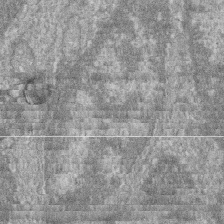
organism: Zebrafish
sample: Cilia; retinal pigment epithelium